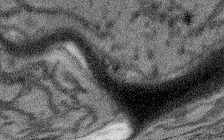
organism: Arabidopsis thaliana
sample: Root tip